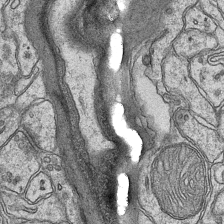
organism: Mouse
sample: CA1 Hippocampus